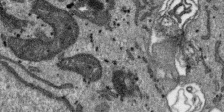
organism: Human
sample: Lung epithelial cells, uninfected (mock) control